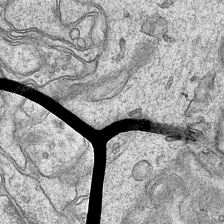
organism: Mouse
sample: CA1 Hippocampus